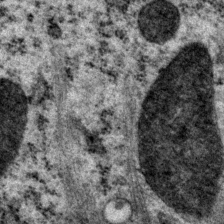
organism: P. pacificus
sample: Pharynx